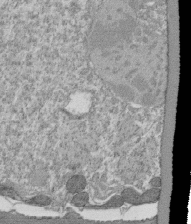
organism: Tetrahymena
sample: Cilia in tetrahymena